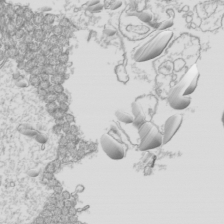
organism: Mouse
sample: Cilia; mouse epididymis